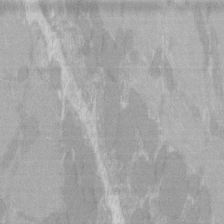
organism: C57BL Mouse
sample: Tibialis anterior muscle cell